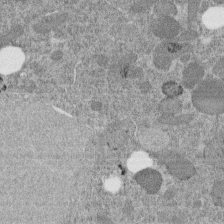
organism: C. elegans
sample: C. elegans embryo early stage